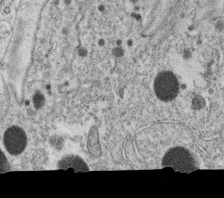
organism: C. elegans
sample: C. elegans oocyte; sperm cells